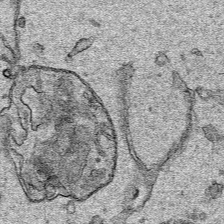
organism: Human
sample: Mitochondria in HCT116 cells